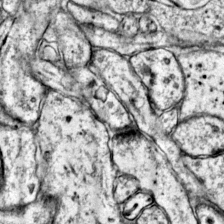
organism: Mouse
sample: Primary visual cortex